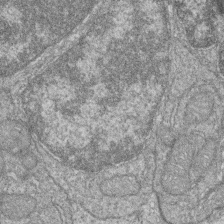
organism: Zebrafish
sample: Cilia; retinal pigment epithelium